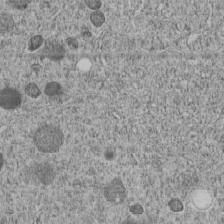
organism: C. elegans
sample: C. elegans embryo early stage